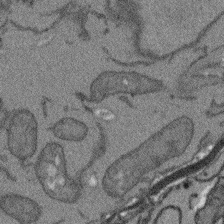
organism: Arabidopsis thaliana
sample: Root tip